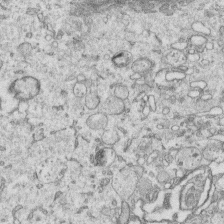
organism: Human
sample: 1205lu cells